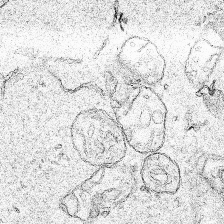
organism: Human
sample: Mitochondria in HCT116 cells